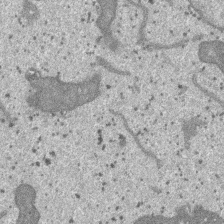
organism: Human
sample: Lung epithelial cells infected with SARS-CoV-2